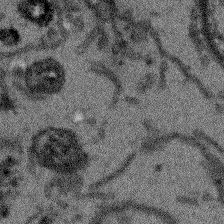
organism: Arabidopsis thaliana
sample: Root tip